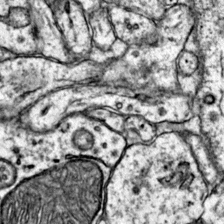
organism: Mouse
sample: Primary visual cortex